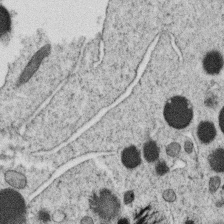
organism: C. elegans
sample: C. elegans oocyte; sperm cells